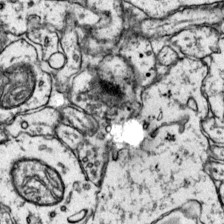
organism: Mouse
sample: Primary visual cortex